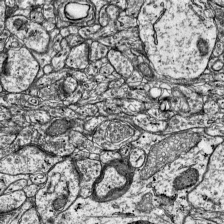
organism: Mouse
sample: Visual Cortex